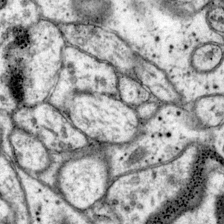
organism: Mouse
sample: Primary visual cortex